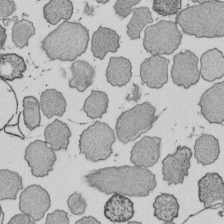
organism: E. coli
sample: Bacterial nucleoid